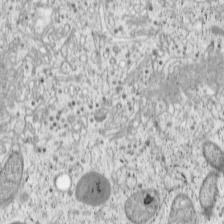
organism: African green monkey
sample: COS-7 cells